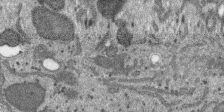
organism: Human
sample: Lung epithelial cells infected with SARS-CoV-2